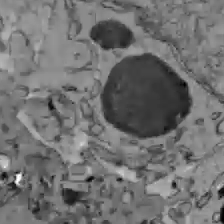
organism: C57BL Mouse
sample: Liver